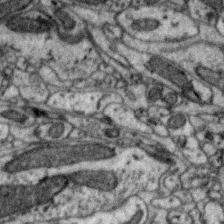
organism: Zebra finch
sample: Brain